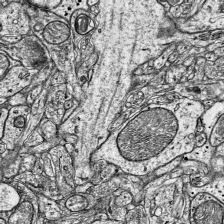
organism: Mouse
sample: Visual Cortex